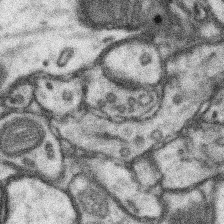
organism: Mouse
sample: Somatosensory cortex neuropil